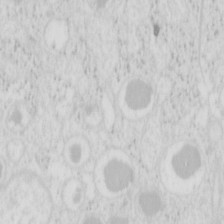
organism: Mouse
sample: Pancreas